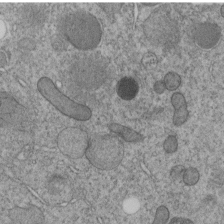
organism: C. elegans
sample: C. elegans embryo early stage